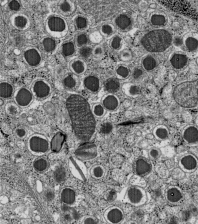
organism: C57BL Mouse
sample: Pancreatic islet